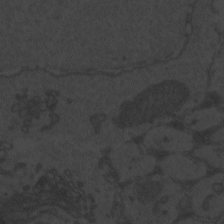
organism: Zebrafish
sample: Macrophage infected with Toxoplasma gondii